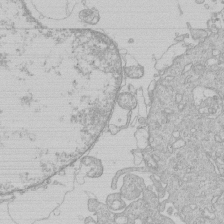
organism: Human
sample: Macrophage cells